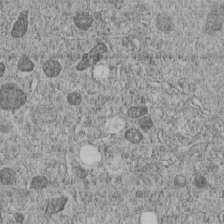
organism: C. elegans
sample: C. elegans embryo early stage